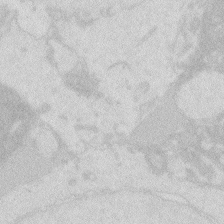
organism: Zebrafish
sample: Macrophage